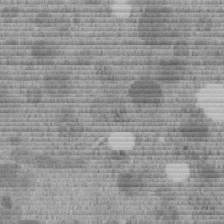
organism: C. elegans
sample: C. elegans embryo early stage